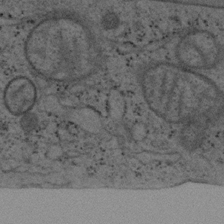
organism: Human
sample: HeLa cells